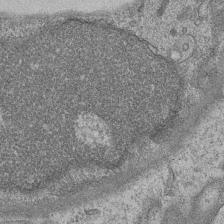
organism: Mouse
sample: CA1 Hippocampus